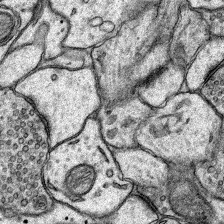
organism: Rat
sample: Hippocampus